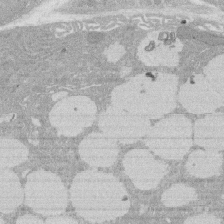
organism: Rat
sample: Salivary granule